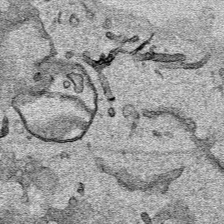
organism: Human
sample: Mitochondria in HCT116 cells